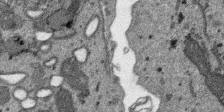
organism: Human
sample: Lung epithelial cells infected with SARS-CoV-2